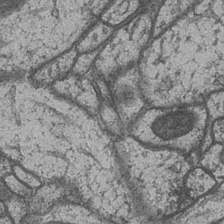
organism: Drosophila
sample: Optic medulla